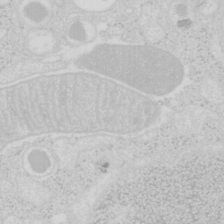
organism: Mouse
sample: Pancreas